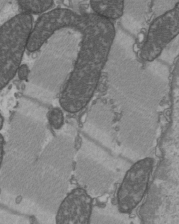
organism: C57BL Mouse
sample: Heart